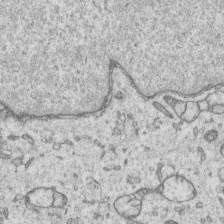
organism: Human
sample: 1205lu cells